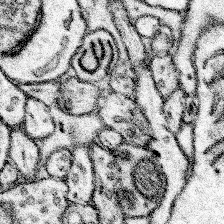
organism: Mouse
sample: Somatosensory cortex neuropil